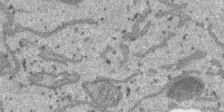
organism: Human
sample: Lung epithelial cells infected with SARS-CoV-2